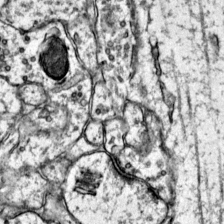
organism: Mouse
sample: Primary visual cortex